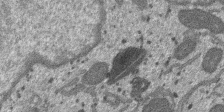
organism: Human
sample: Lung epithelial cells infected with SARS-CoV-2